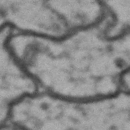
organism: Drosophila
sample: Brain